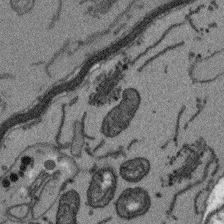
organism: Arabidopsis thaliana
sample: Root tip